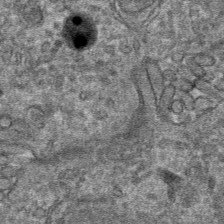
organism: Mouse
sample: Mouse hepatocytes